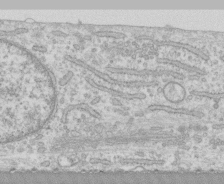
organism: Human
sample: CRL-1474